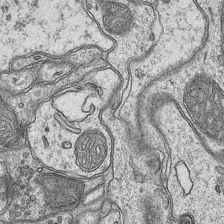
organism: Mouse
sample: CA1 Hippocampus